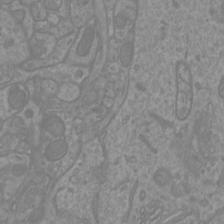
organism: Mouse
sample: Cortical neurons